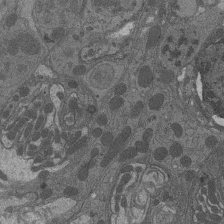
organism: Drosophila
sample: Antenna